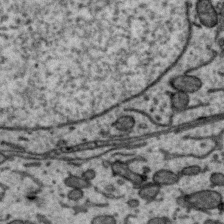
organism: Zebra finch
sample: Brain